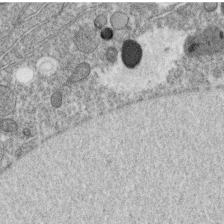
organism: C. elegans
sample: C. elegans oocyte; sperm cells